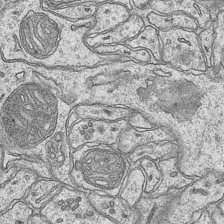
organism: Mouse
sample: CA1 Hippocampus